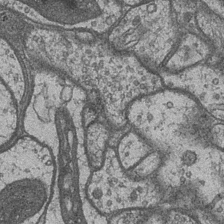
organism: Drosophila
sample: Optic medulla